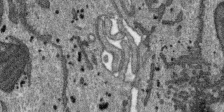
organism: Human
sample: Lung epithelial cells, uninfected (mock) control